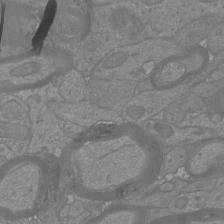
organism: Mouse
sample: Cortical neurons